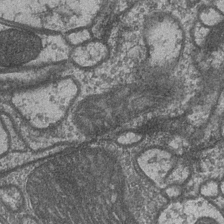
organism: Drosophila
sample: Optic medulla